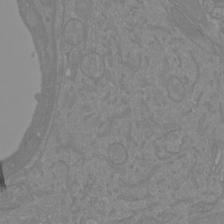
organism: Mouse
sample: Cortical neurons